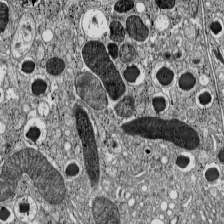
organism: C57BL Mouse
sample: Pancreatic islet